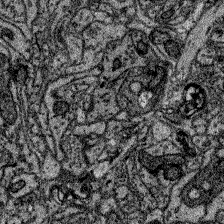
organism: Zebrafish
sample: Larval olfactory bulb